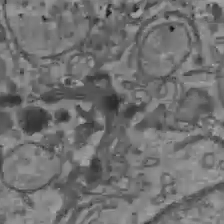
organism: C57BL Mouse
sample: Liver